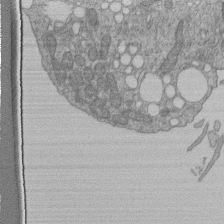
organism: Human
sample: Retinal organoid Rod and Cone cells